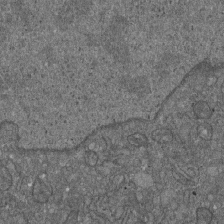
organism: Drosophila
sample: Nephrocyte